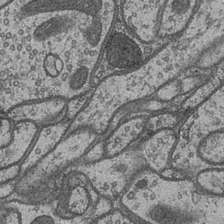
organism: Drosophila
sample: Optic medulla